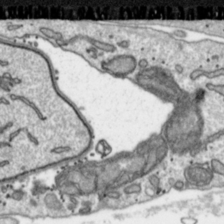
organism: Toxoplasma gondii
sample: Parasites in a vacuole inside a host cell